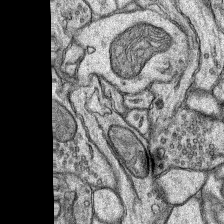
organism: Rat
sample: Hippocampus